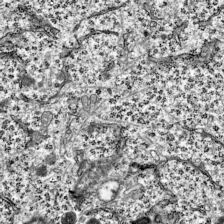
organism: Mouse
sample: Visual Cortex